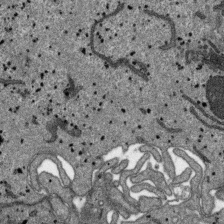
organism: Human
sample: Lung epithelial cells, uninfected (mock) control